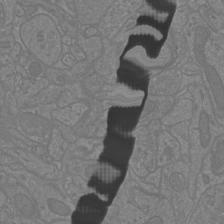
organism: Mouse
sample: Cortical neurons